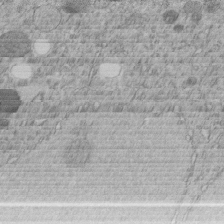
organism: C. elegans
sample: C. elegans embryo early stage